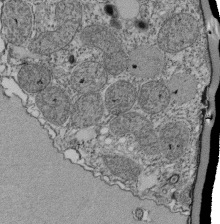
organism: Tetrahymena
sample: Cilia in tetrahymena